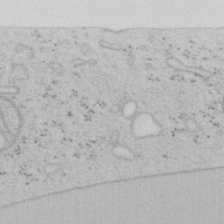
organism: Human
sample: HeLa cells